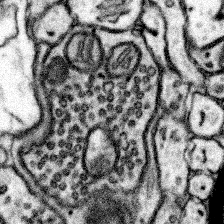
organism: Mouse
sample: Somatosensory cortex neuropil